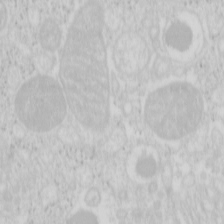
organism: Mouse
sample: Pancreas